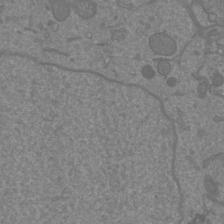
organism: Mouse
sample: Cortical neurons